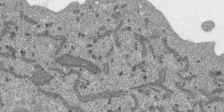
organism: Human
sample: Lung epithelial cells infected with SARS-CoV-2